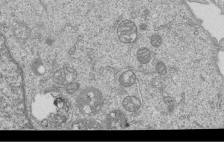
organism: Human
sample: MDA-MB-231 cells